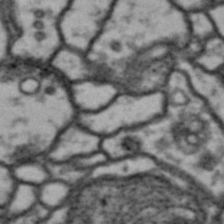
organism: Drosophila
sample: Brain